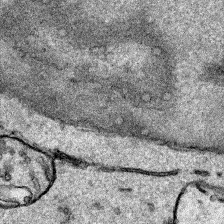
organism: Human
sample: Mitochondria in HCT116 cells